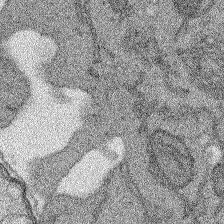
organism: Human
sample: HeLa cells